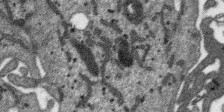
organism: Human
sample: Lung epithelial cells infected with SARS-CoV-2